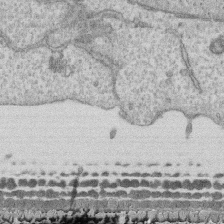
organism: Human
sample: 1205lu cells